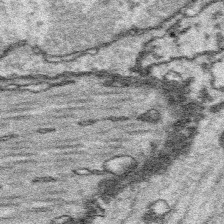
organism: Platynereis dumerilii